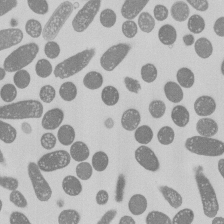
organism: E. coli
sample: Bacterial nucleoid